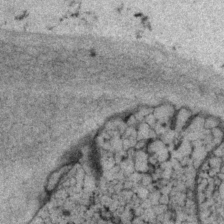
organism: P. pacificus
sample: Pharynx